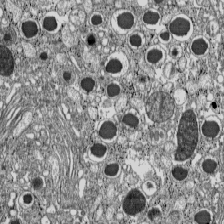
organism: C57BL Mouse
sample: Pancreatic islet